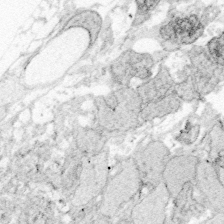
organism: Zebrafish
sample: Whole-Brain